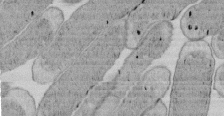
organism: E. coli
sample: Bacterial nucleoid